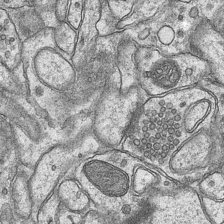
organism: Mouse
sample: CA1 Hippocampus